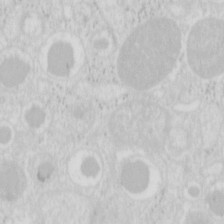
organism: Mouse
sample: Pancreas